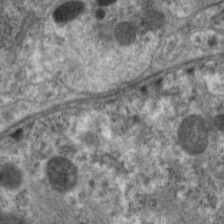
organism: C. elegans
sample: Pharynx